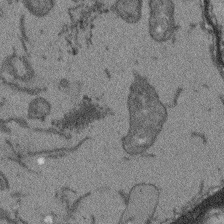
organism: Arabidopsis thaliana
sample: Root tip